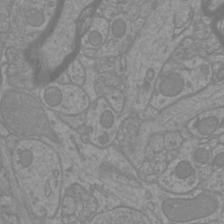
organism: Mouse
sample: Cortical neurons